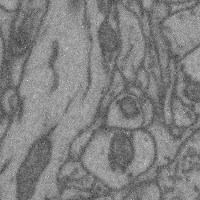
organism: Mouse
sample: Cerebral cortex